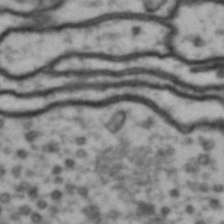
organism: Drosophila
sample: Brain